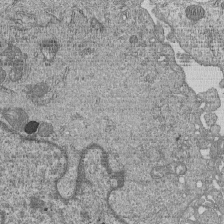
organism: Human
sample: MDA-MB-231 cells